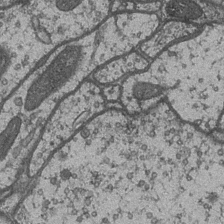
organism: Drosophila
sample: Optic medulla